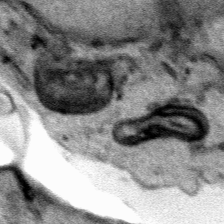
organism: Human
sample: Mitochondria in HCT116 cells